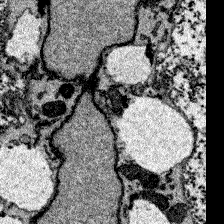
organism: Zebrafish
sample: Larval olfactory bulb